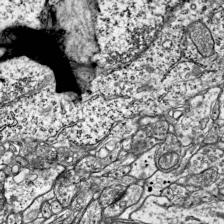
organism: Mouse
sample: Visual Cortex